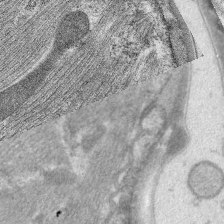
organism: C. elegans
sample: Pharynx